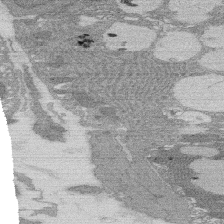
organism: Rat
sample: Salivary granule